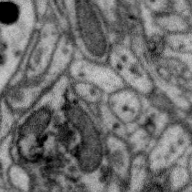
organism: Zebra finch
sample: Brain